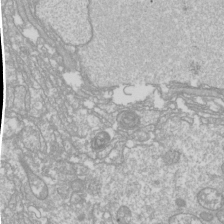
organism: Drosophila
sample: Cell division; meiosis; drosophila spermatocytes